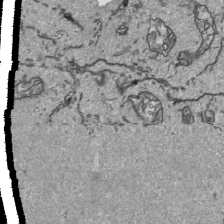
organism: Human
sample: Mitochondria in HCT116 cells